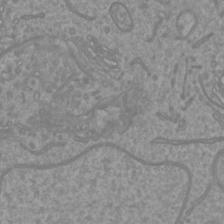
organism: Mouse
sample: Cortical neurons